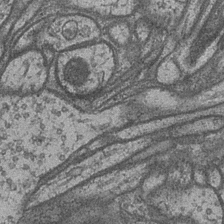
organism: Drosophila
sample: Optic medulla